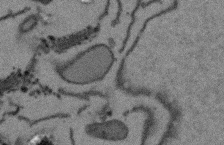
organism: Arabidopsis thaliana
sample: Root tip